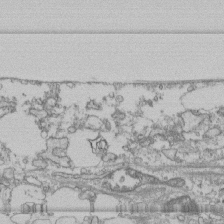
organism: Human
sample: Fibroblast cells